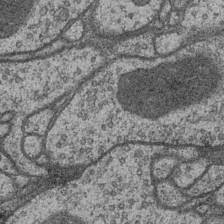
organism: Drosophila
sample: Optic medulla